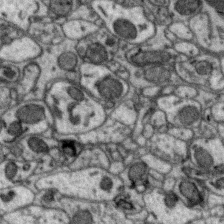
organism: Zebra finch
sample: Brain